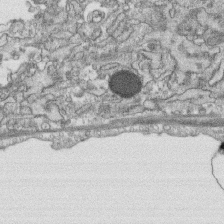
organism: Human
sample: CRL-1474